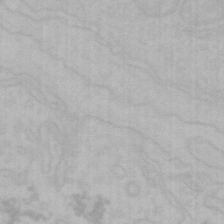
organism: Mouse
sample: Choroid plexus